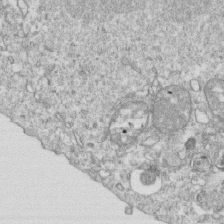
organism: Mouse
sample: Activated OT-1 CD8+ T cells